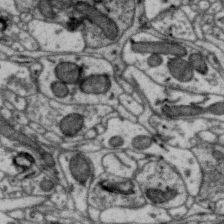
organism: Zebra finch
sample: Brain